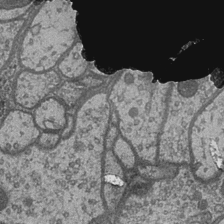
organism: Drosophila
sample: Optic medulla